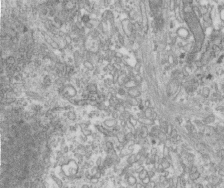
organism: Human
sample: Centriole in fibroblast cells